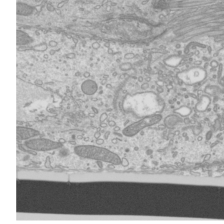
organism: Mouse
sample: Cilia; mouse epididymis